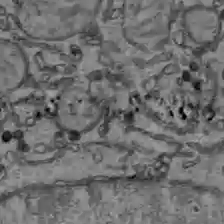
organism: C57BL Mouse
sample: Liver